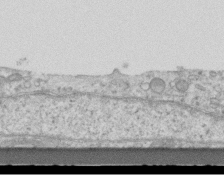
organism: Mouse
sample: Centriole in ependymal cells